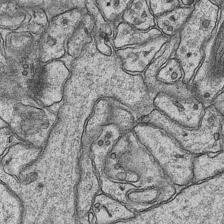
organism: Mouse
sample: CA1 Hippocampus